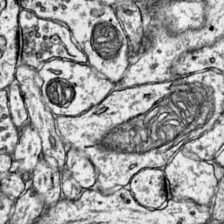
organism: Mouse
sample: Primary visual cortex